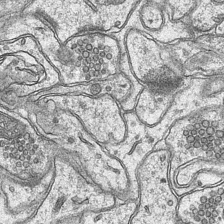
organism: Mouse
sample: CA1 Hippocampus